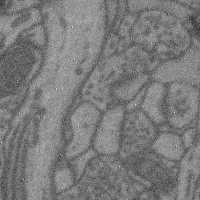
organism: Mouse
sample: Cerebral cortex